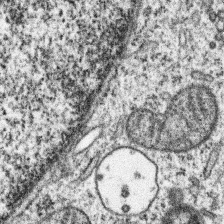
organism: Human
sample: HeLa cells